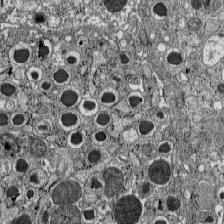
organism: C57BL Mouse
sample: Pancreatic islet